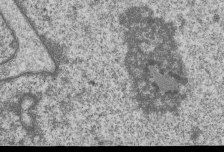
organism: Human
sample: MDA-MB-231 cells